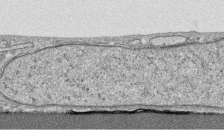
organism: Human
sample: CRL-1474